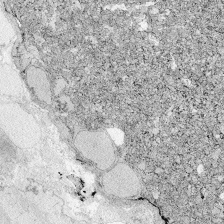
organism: Zebrafish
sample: Whole-Brain